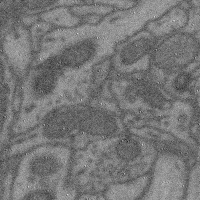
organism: Mouse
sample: Cerebral cortex